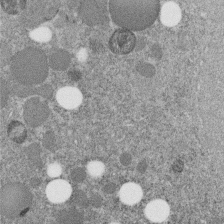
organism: C. elegans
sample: C. elegans embryo early stage